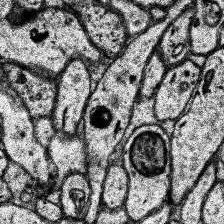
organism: Human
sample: Temporal Lobe